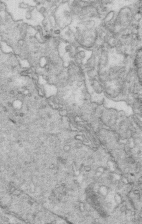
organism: Mouse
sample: Multiciliated cells